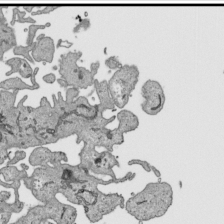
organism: Human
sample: Mitochondria in HCT116 cells